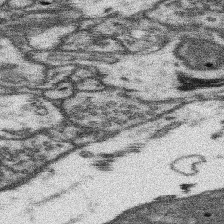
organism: Mouse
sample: Somatosensory cortex neuropil